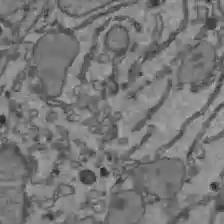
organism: C57BL Mouse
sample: Liver